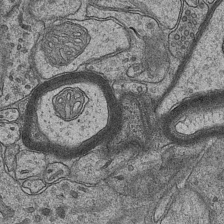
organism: Mouse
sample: CA1 Hippocampus